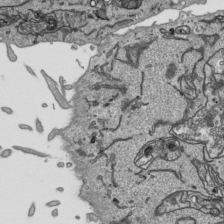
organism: Human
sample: Mitochondria in HCT116 cells